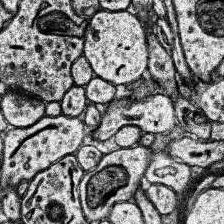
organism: Human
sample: Temporal Lobe